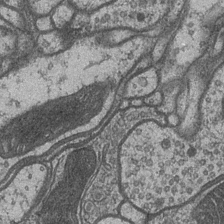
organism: Drosophila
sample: Optic medulla